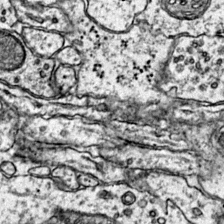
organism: Mouse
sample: Primary visual cortex